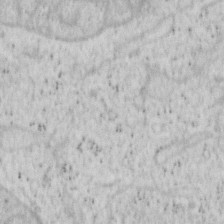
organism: Human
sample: HeLa cells